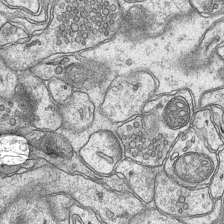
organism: Mouse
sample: CA1 Hippocampus